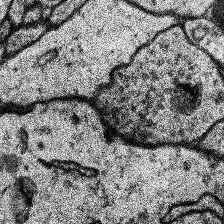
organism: Human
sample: Temporal Lobe